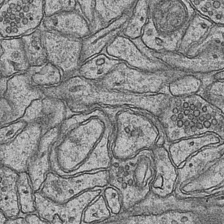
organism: Mouse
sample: CA1 Hippocampus